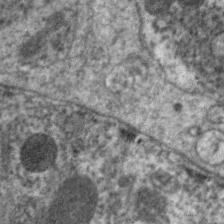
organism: C. elegans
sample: Pharynx